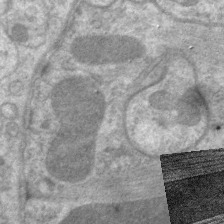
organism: C. elegans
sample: Pharynx